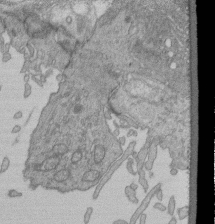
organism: Human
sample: Retinal organoid Rod and Cone cells